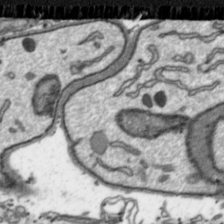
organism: Toxoplasma gondii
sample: Parasites in a vacuole inside a host cell